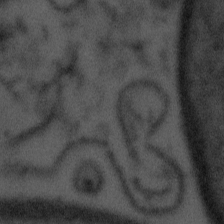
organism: Tuwongella immobilis